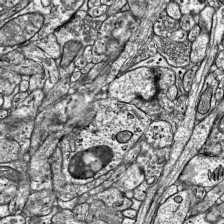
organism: Mouse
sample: Visual Cortex